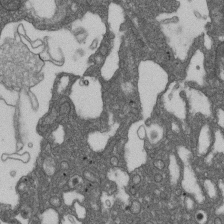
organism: Drosophila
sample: Nephrocyte